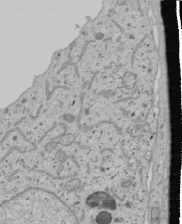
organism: Human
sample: Mitochondria in U2OS cells